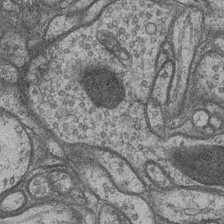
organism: Drosophila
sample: Optic medulla